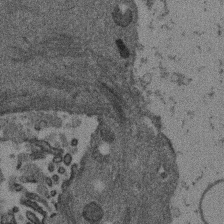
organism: Mouse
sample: Dividing mouse embryo 1 cell stage